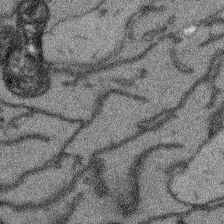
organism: Arabidopsis thaliana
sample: Root tip